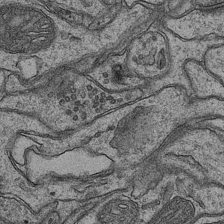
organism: Mouse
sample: CA1 Hippocampus